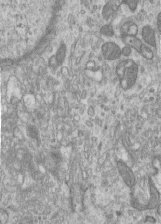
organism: Human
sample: Centriole in RPE cells